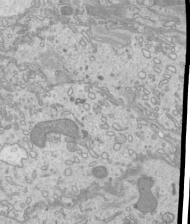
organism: Mouse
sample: Cilia; mouse epididymis